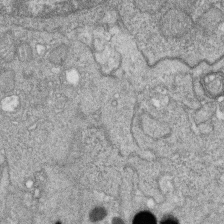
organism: Zebrafish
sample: Cilia; retinal pigment epithelium